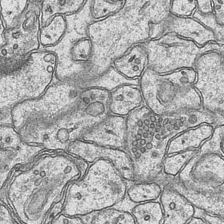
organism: Mouse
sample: CA1 Hippocampus